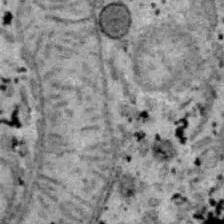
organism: Mouse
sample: Liver from an obese (ob/ob) mouse